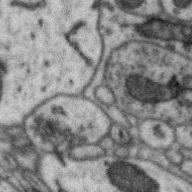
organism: Zebra finch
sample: Brain